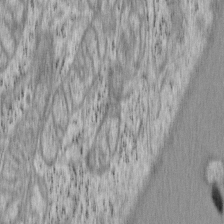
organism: Human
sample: HeLa cells